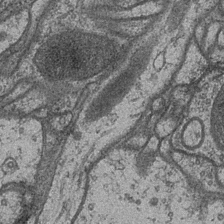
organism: Drosophila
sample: Optic medulla